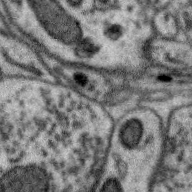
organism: Zebra finch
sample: Brain